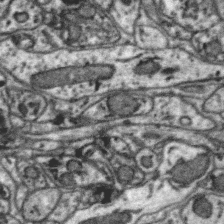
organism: Zebra finch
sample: Brain